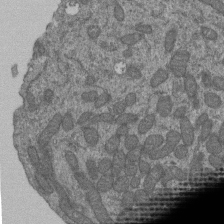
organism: Human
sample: Retinal organoid Rod and Cone cells